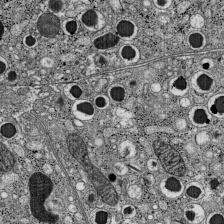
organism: C57BL Mouse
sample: Pancreatic islet